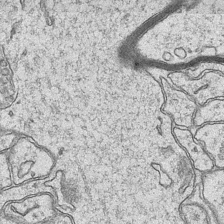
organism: Mouse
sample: CA1 Hippocampus